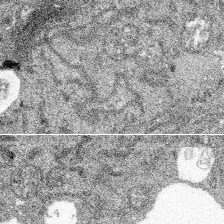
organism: Spongilla lacustris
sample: Multiple